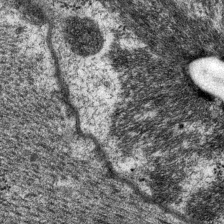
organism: P. pacificus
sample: Pharynx